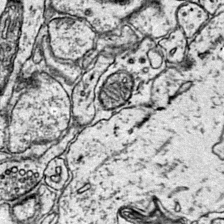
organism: Mouse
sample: Primary visual cortex